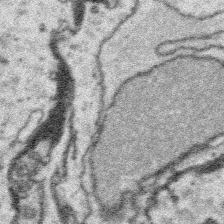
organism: Platynereis dumerilii